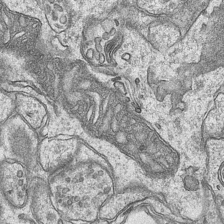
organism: Mouse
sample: CA1 Hippocampus